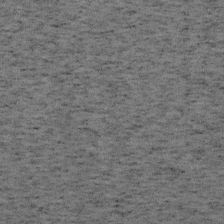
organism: Mouse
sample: OT-I killer T cells with ID8 ovarian cancer cells